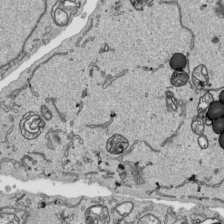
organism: Human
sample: Mitochondria in HCT116 cells